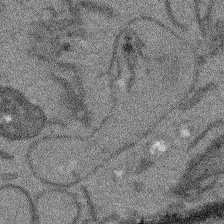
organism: Arabidopsis thaliana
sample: Root tip